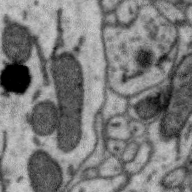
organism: Zebra finch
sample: Brain